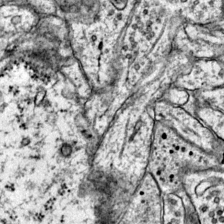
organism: Mouse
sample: Primary visual cortex